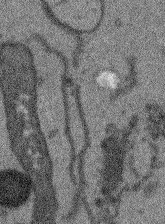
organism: Arabidopsis thaliana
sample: Root tip